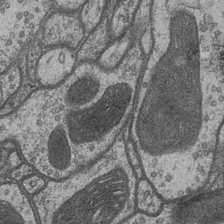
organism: Drosophila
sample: Optic medulla